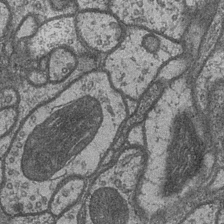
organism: Drosophila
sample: Optic medulla